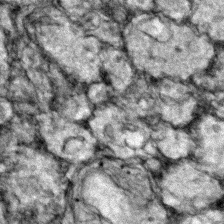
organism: Zebrafish